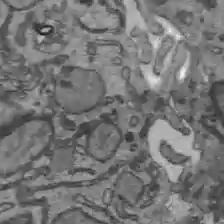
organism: C57BL Mouse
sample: Liver